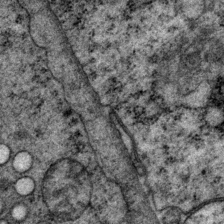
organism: P. pacificus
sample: Pharynx